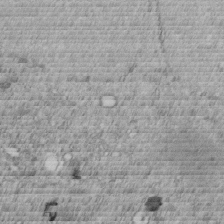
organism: C. elegans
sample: C. elegans embryo early stage